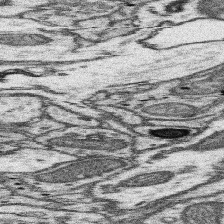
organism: Mouse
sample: Somatosensory cortex neuropil